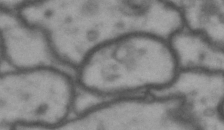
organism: Drosophila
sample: Brain